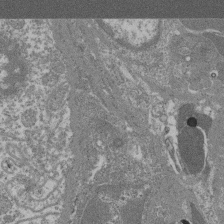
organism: Mouse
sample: Glomerulus